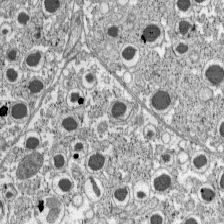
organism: C57BL Mouse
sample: Pancreatic islet